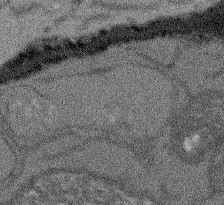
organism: Arabidopsis thaliana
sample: Root tip